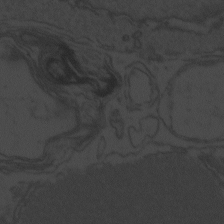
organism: Zebrafish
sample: Macrophage infected with Toxoplasma gondii